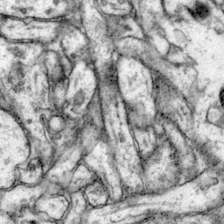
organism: Mouse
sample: Primary visual cortex